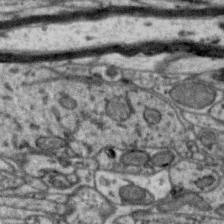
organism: Zebra finch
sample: Brain